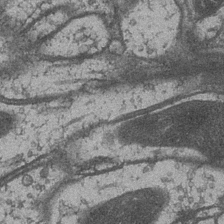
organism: Drosophila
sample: Optic medulla